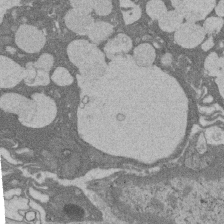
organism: Rat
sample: Salivary granule